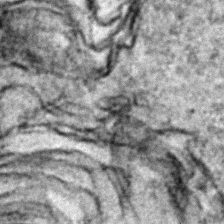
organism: Zebrafish